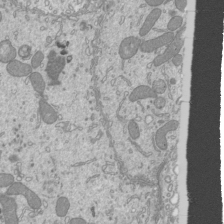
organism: Mouse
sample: Cilia; mouse epididymis